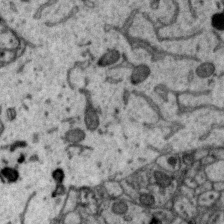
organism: Zebra finch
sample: Brain